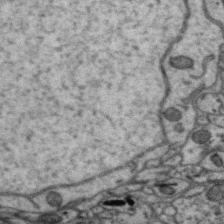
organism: Zebra finch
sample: Brain